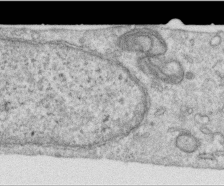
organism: Human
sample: Centriole in RPE cells